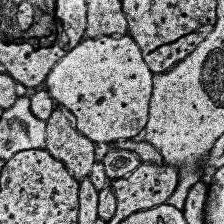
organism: Human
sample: Temporal Lobe